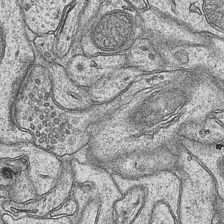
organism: Mouse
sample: CA1 Hippocampus